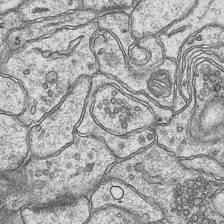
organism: Mouse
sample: CA1 Hippocampus